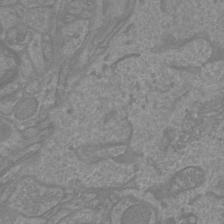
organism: Mouse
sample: Cortical neurons